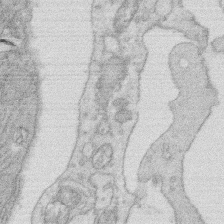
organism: Rat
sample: Salivary granule